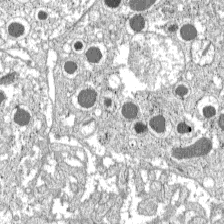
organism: C57BL Mouse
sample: Pancreatic islet